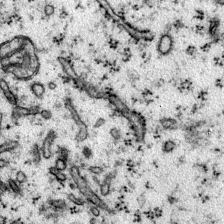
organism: Mouse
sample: Primary visual cortex